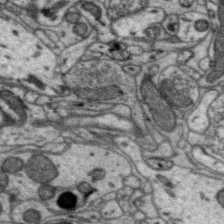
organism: Zebra finch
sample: Brain